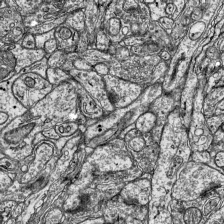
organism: Mouse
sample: Visual Cortex